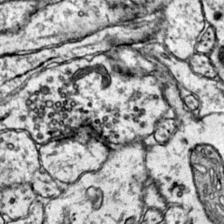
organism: Mouse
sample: Primary visual cortex